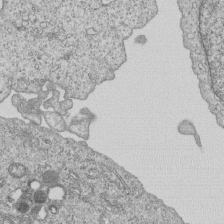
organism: Human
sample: MDA-MB-231 cells